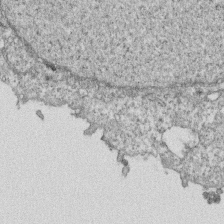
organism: Human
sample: HeLa cell HIV synapse